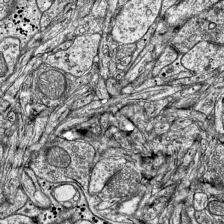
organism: Mouse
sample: Visual Cortex